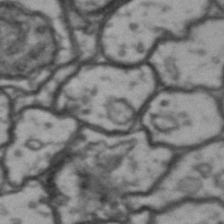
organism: Drosophila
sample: Brain